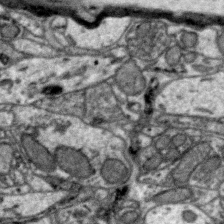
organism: Zebra finch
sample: Brain